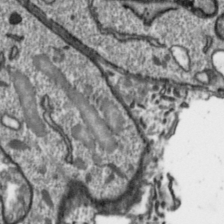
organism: Toxoplasma gondii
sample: Parasites in a vacuole inside a host cell